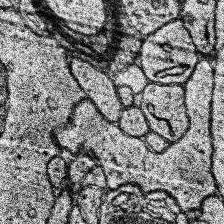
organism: Human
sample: Temporal Lobe